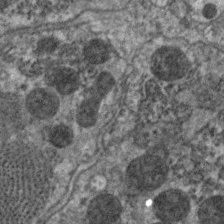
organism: C. elegans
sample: Pharynx